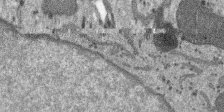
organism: Human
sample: Lung epithelial cells infected with SARS-CoV-2